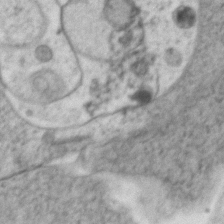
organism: Zebrafish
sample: Zebrafish embryo